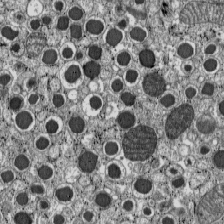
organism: C57BL Mouse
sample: Pancreatic islet